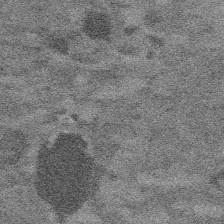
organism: Platynereis dumerilii